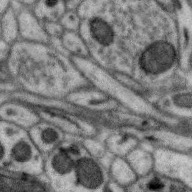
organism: Zebra finch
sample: Brain